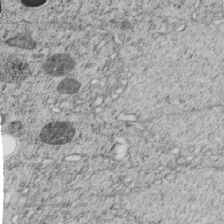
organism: C. elegans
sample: C. elegans embryo early stage